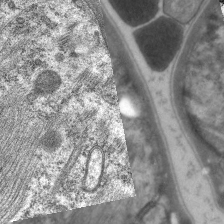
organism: C. elegans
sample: Pharynx